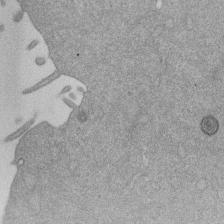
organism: Mouse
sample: Dividing mouse embryo 1 cell stage